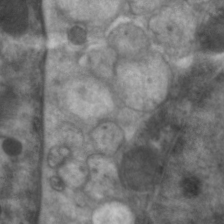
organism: C. elegans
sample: Pharynx